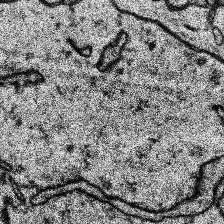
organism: Human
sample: Temporal Lobe